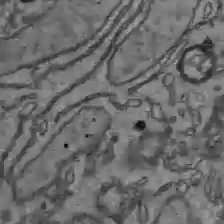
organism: C57BL Mouse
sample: Liver